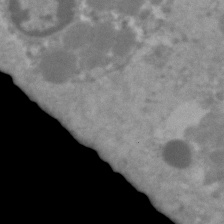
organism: Human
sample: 1205lu cells